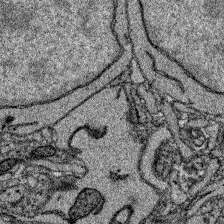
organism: Zebrafish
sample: Larval olfactory bulb